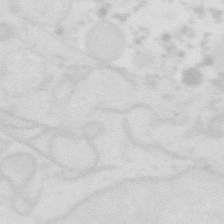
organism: Human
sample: HeLa cells